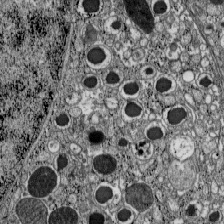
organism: C57BL Mouse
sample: Pancreatic islet